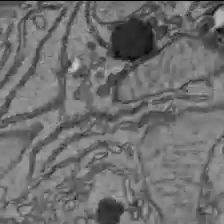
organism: C57BL Mouse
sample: Liver